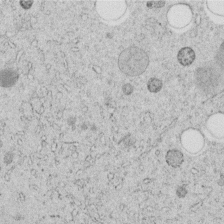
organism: C. elegans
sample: C. elegans embryo early stage